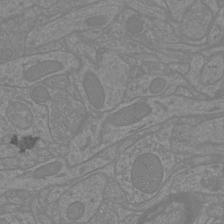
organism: Mouse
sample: Cortical neurons